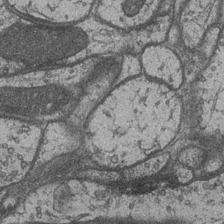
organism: Drosophila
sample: Optic medulla